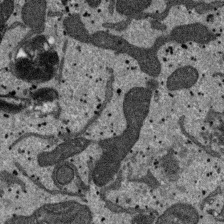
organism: Human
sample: Lung epithelial cells, uninfected (mock) control